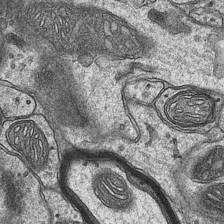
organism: Mouse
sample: CA1 Hippocampus